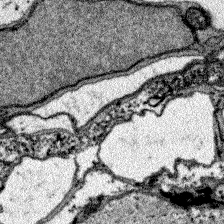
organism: Zebrafish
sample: Larval olfactory bulb